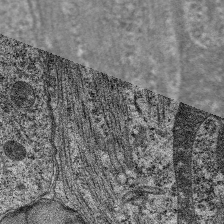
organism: C. elegans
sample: Pharynx